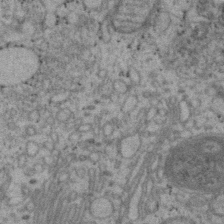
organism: Human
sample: HeLa cells